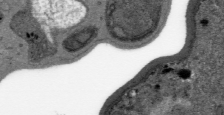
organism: Plasmodium falciparum